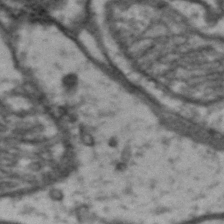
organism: Drosophila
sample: Brain